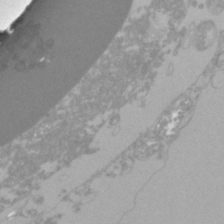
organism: Zebrafish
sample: Zebrafish embryo